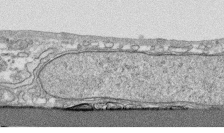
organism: Human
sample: CRL-1474